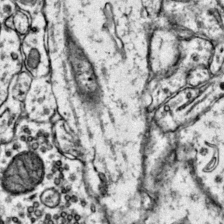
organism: Mouse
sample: Primary visual cortex